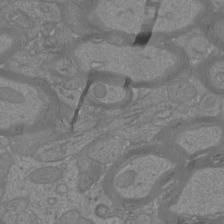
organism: Mouse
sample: Cortical neurons